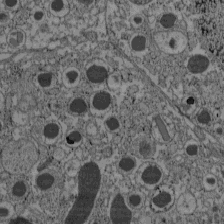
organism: C57BL Mouse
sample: Pancreatic islet